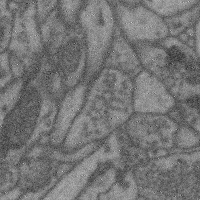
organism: Mouse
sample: Cerebral cortex